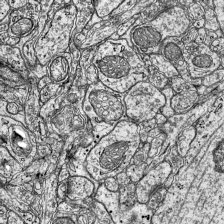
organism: Mouse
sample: Visual Cortex